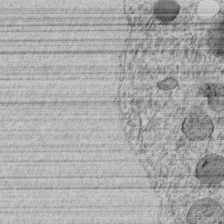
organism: C. elegans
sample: C. elegans embryo early stage